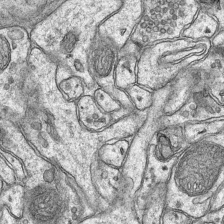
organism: Mouse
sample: CA1 Hippocampus